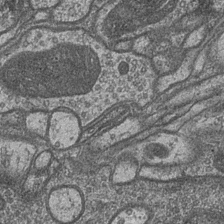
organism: Drosophila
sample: Optic medulla